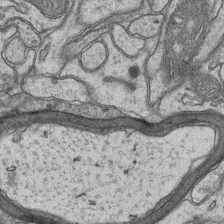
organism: Mouse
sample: CA1 Hippocampus